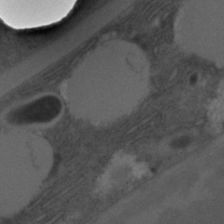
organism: C. elegans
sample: C. elegans embryo